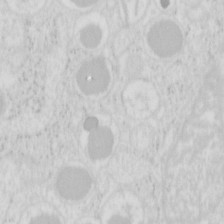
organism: Mouse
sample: Pancreas